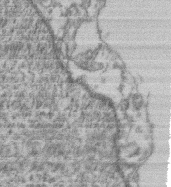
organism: Mouse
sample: T cell stromal cell synapse